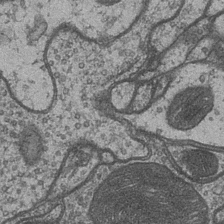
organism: Drosophila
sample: Optic medulla